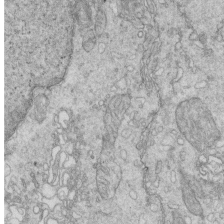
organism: Mouse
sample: Multiciliated cells